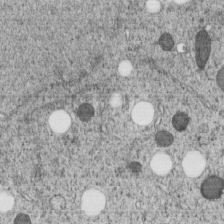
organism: C. elegans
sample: C. elegans embryo early stage